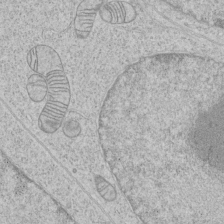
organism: Human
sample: Mitochondria in HCT116 cells